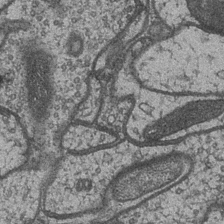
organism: Drosophila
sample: Optic medulla